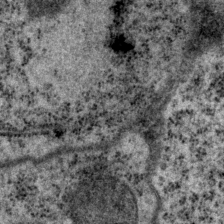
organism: P. pacificus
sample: Pharynx